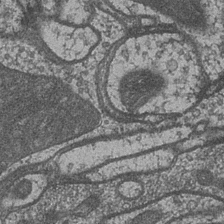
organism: Drosophila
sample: Optic medulla